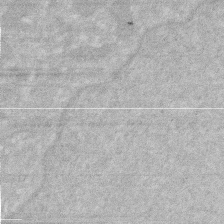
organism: Human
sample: HIV infected U937 cells